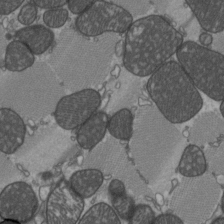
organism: C57BL Mouse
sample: Heart